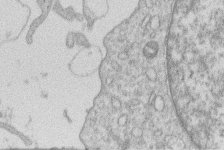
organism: Human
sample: Macrophage cells